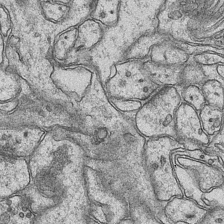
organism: Mouse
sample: CA1 Hippocampus